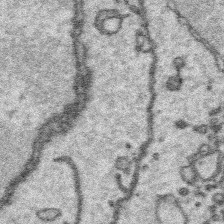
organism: Platynereis dumerilii